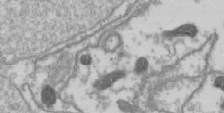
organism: Drosophila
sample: Cell division; meiosis; drosophila spermatocytes